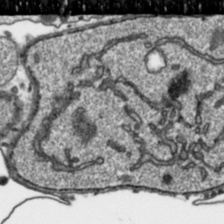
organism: Toxoplasma gondii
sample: Parasites in a vacuole inside a host cell